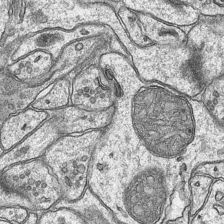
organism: Mouse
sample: CA1 Hippocampus